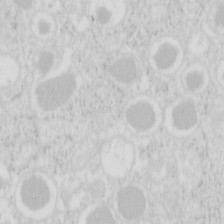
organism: Mouse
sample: Pancreas